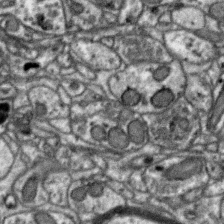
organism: Zebra finch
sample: Brain